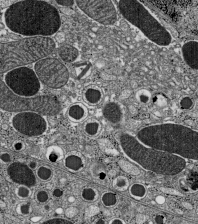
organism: C57BL Mouse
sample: Pancreatic islet